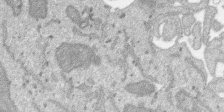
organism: Human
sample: Lung epithelial cells infected with SARS-CoV-2